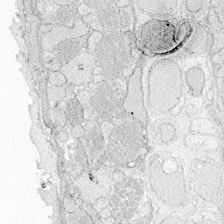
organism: Zebrafish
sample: Whole-Brain